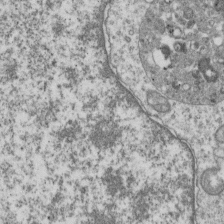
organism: Human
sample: MDA-MB-231 cells